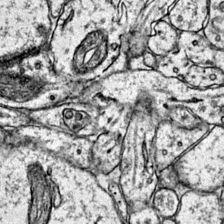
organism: Mouse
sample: Primary visual cortex